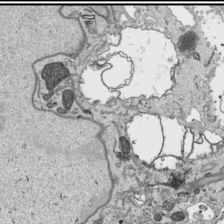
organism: Human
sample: Mitochondria in HCT116 cells